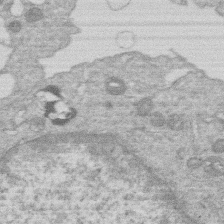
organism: Human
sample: Macrophage cells